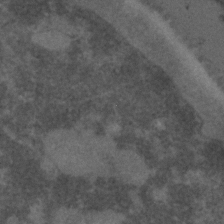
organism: C. elegans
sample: C. elegans embryo